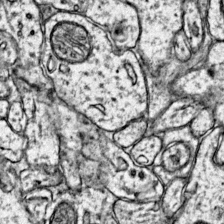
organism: Mouse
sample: Primary visual cortex